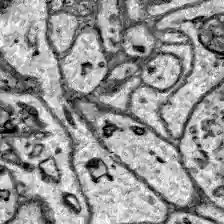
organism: Zebrafish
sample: Brain